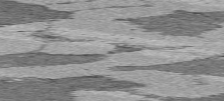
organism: C57BL Mouse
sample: Heart